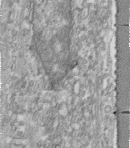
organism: Human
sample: Centriole in fibroblast cells